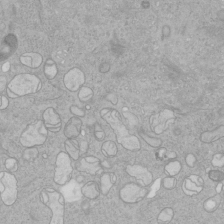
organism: Human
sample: Mitochondria in HCT116 cells